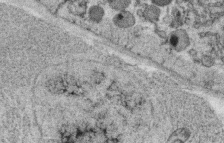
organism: C. elegans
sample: C. elegans oocyte; sperm cells